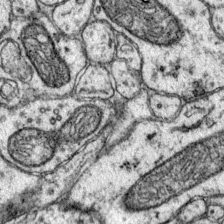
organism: Mouse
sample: Primary visual cortex